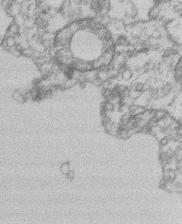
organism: Mouse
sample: T cell stromal cell synapse